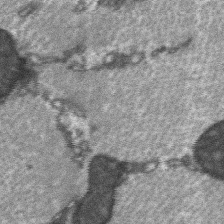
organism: C57BL Mouse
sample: Soleus